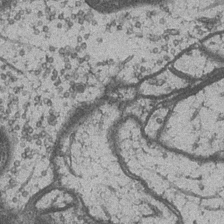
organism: Drosophila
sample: Optic medulla